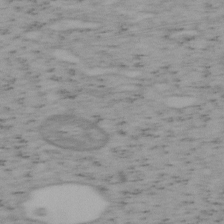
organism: Mouse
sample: OT-I killer T cells with ID8 ovarian cancer cells